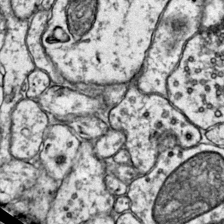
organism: Mouse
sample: Primary visual cortex